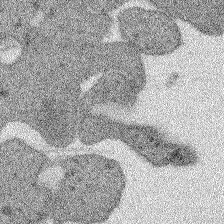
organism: Human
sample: HeLa cells